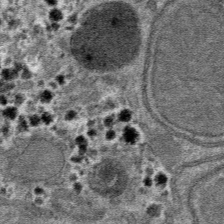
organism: Mouse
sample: Mouse hepatocytes